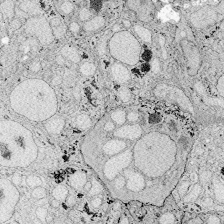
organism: Zebrafish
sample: Whole-Brain